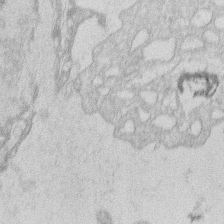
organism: Human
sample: Macrophage cells